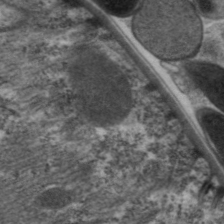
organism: C. elegans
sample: Pharynx